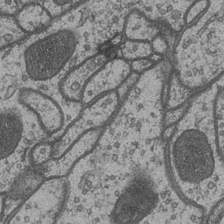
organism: Drosophila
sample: Optic medulla